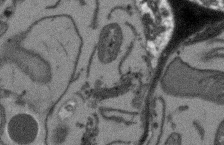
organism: Arabidopsis thaliana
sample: Root tip